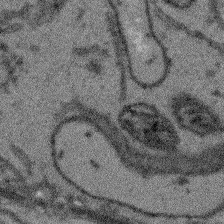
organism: Arabidopsis thaliana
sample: Root tip